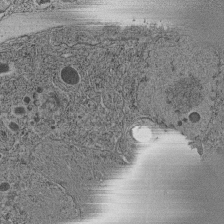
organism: C. elegans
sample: C. elegans pharynx